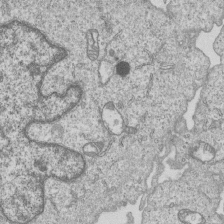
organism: Human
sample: MDA-MB-231 cells